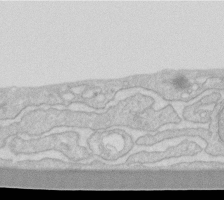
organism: Human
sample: Fibroblast cells